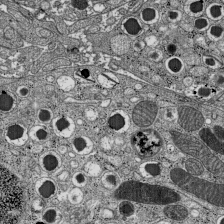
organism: C57BL Mouse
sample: Pancreatic islet